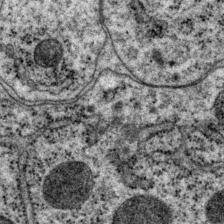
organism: P. pacificus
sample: Pharynx